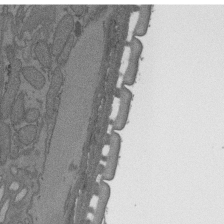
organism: C. elegans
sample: AFD neurons C. elegans